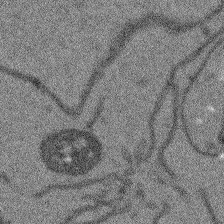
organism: Arabidopsis thaliana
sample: Root tip